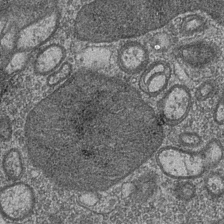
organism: Drosophila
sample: Optic medulla